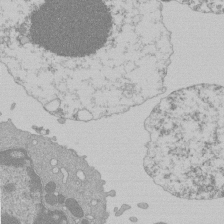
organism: Mouse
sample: Activated Pmel transgenic CD8+ T Cells